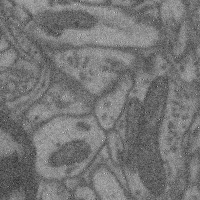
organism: Mouse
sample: Cerebral cortex